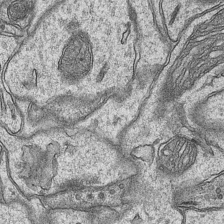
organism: Mouse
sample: CA1 Hippocampus